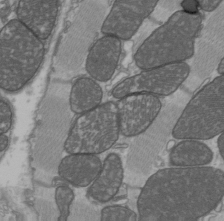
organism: C57BL Mouse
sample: Heart